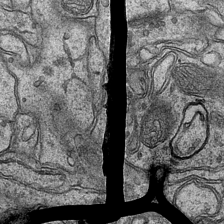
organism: Mouse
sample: CA1 Hippocampus